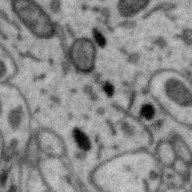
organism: Zebra finch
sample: Brain